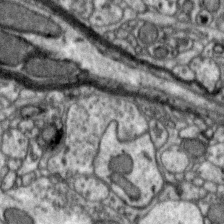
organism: Zebra finch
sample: Brain